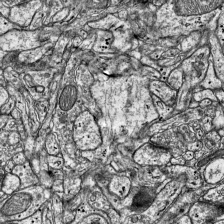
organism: Mouse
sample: Visual Cortex